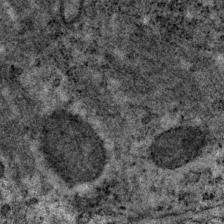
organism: P. pacificus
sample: Pharynx